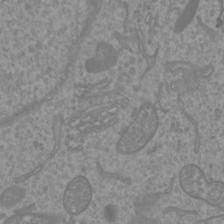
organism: Mouse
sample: Cortical neurons